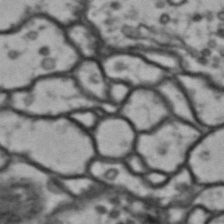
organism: Drosophila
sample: Brain